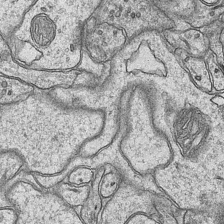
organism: Mouse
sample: CA1 Hippocampus